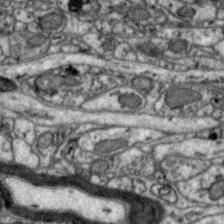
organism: Zebra finch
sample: Brain